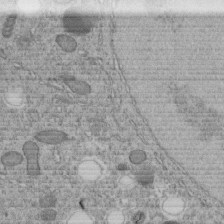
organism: C. elegans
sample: C. elegans embryo early stage